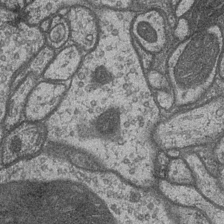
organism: Drosophila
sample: Optic medulla